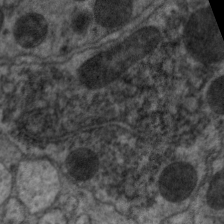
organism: C. elegans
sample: Pharynx